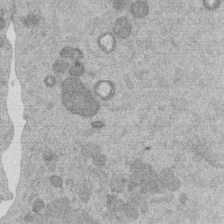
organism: Mouse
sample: Dividing mouse embryo 1 cell stage